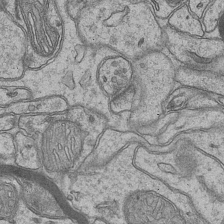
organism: Mouse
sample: CA1 Hippocampus